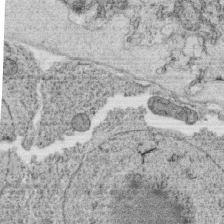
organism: C. elegans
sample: C. elegans oocyte; sperm cells